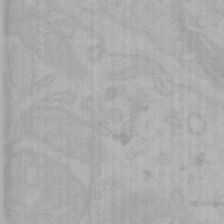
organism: Mouse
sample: Choroid plexus